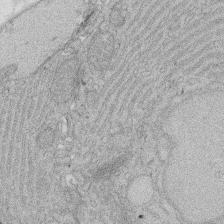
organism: Rat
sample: Salivary granule